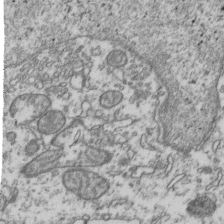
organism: Human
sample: Activated Jurkat CD4+ T cells